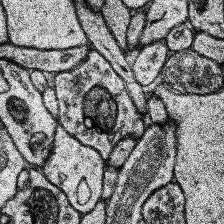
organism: Human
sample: Temporal Lobe